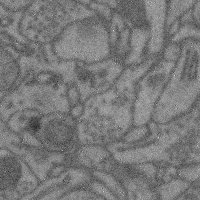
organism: Mouse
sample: Cerebral cortex